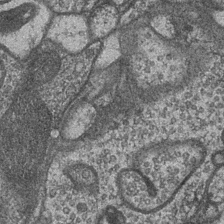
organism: Drosophila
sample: Optic medulla